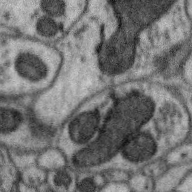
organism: Zebra finch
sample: Brain